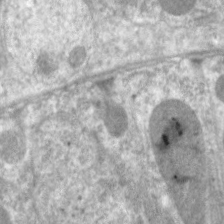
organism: C. elegans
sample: Pharynx